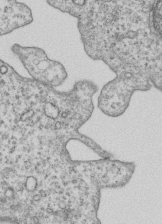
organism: Human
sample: MDA-MB-231 cells